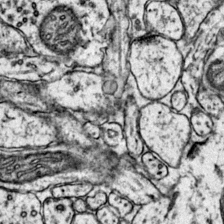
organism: Mouse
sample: Primary visual cortex